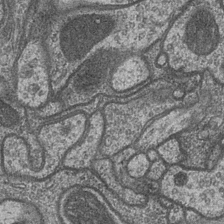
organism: Drosophila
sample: Optic medulla